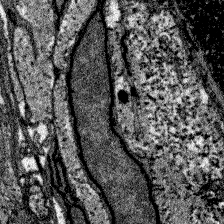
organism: Zebrafish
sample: Larval olfactory bulb